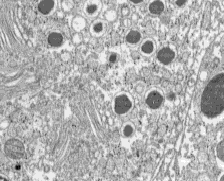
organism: C57BL Mouse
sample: Pancreatic islet